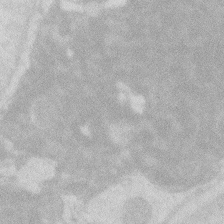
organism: Zebrafish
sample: Macrophage